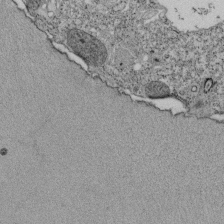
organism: Tetrahymena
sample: Cilia in tetrahymena